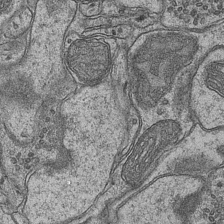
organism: Mouse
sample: CA1 Hippocampus